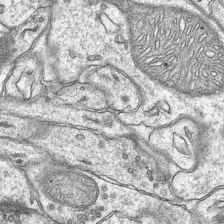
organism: Mouse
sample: CA1 Hippocampus